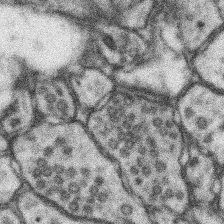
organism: Mouse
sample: Somatosensory cortex neuropil